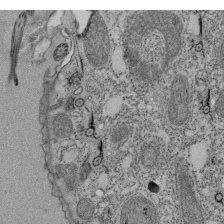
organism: Tetrahymena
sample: Cilia in tetrahymena